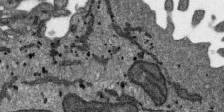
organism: Human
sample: Lung epithelial cells, uninfected (mock) control